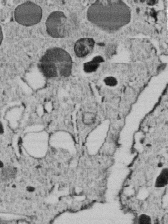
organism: C. elegans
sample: C. elegans embryo early stage